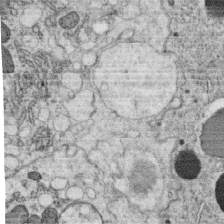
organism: C. elegans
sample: C. elegans oocyte; sperm cells